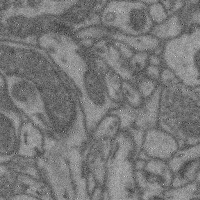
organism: Mouse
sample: Cerebral cortex